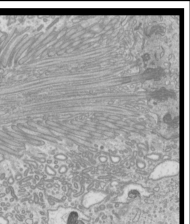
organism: Mouse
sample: Cilia; mouse epididymis